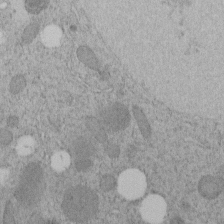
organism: C. elegans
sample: C. elegans embryo early stage